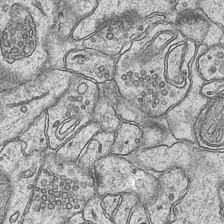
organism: Mouse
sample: CA1 Hippocampus